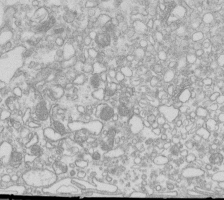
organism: Mouse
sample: Macrophages